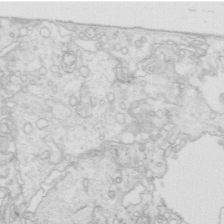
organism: Mouse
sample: Multiciliated cells